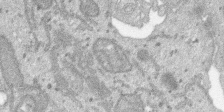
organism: Human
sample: Lung epithelial cells infected with SARS-CoV-2